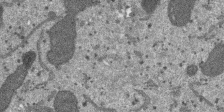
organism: Human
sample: Lung epithelial cells infected with SARS-CoV-2